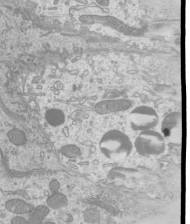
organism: Mouse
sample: Cilia; mouse epididymis